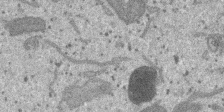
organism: Human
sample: Lung epithelial cells infected with SARS-CoV-2